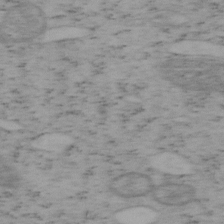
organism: Mouse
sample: OT-I killer T cells with ID8 ovarian cancer cells